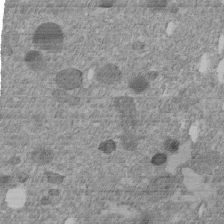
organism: C. elegans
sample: C. elegans embryo early stage